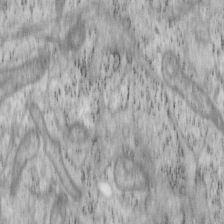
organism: Human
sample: HeLa cells